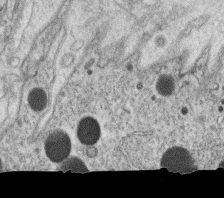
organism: C. elegans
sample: C. elegans oocyte; sperm cells